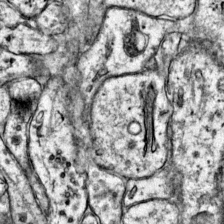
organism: Mouse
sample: Primary visual cortex